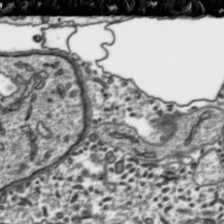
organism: Toxoplasma gondii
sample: Parasites in a vacuole inside a host cell